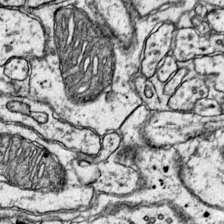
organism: Mouse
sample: Primary visual cortex